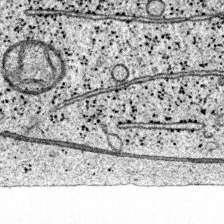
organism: Human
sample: HeLa cells